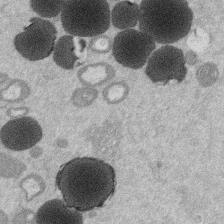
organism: Mouse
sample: Dividing mouse embryo 1 cell stage